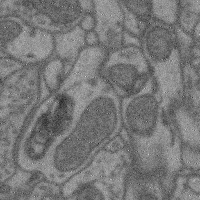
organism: Mouse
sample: Cerebral cortex